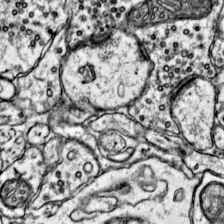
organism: Mouse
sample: Primary visual cortex